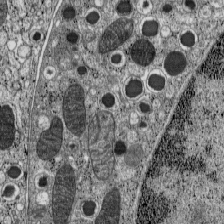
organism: C57BL Mouse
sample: Pancreatic islet